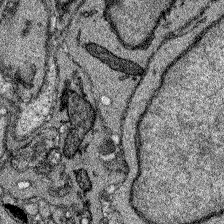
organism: Zebrafish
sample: Larval olfactory bulb